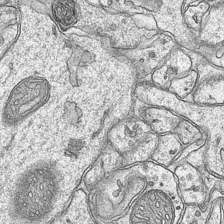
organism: Mouse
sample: CA1 Hippocampus